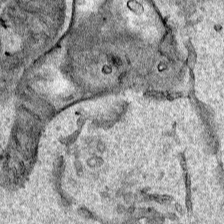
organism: Human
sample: Mitochondria in HCT116 cells